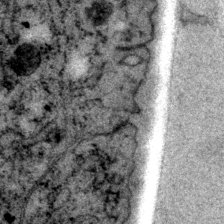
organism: P. pacificus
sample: Pharynx